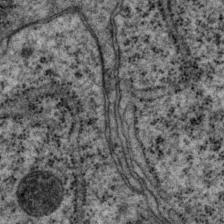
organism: P. pacificus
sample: Pharynx